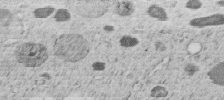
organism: C. elegans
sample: C. elegans embryo early stage